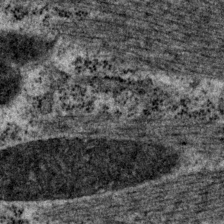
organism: P. pacificus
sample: Pharynx